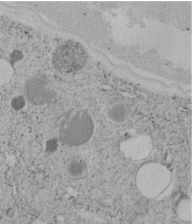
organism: C. elegans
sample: C. elegans embryo early stage